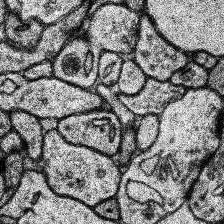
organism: Human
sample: Temporal Lobe